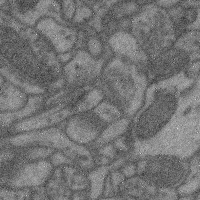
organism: Mouse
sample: Cerebral cortex